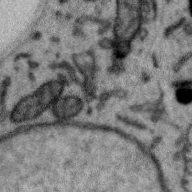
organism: Zebra finch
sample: Brain